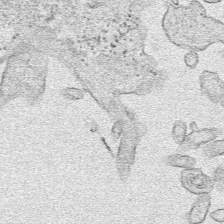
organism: Human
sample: Mitochondria in HCT116 cells